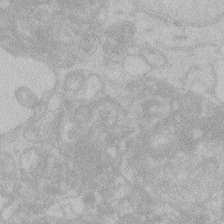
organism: Zebrafish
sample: Macrophage infected with Toxoplasma gondii